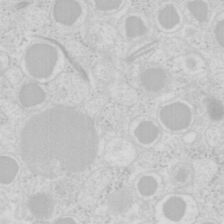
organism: Mouse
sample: Pancreas